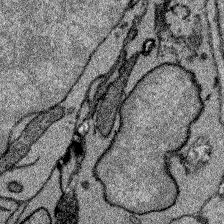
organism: Zebrafish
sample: Larval olfactory bulb